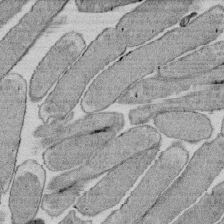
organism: E. coli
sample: Bacterial nucleoid